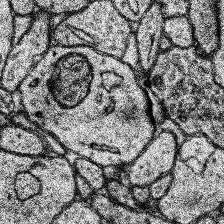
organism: Human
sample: Temporal Lobe